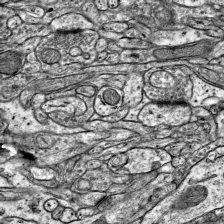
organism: Mouse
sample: Visual Cortex